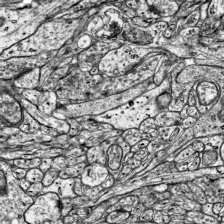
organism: Mouse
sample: Visual Cortex